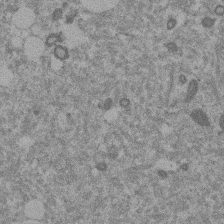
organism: Mouse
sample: Dividing mouse embryo 1 cell stage